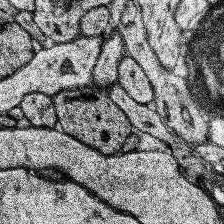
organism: Human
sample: Temporal Lobe